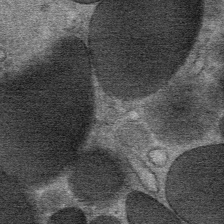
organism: Mouse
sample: Mouse Salivary gland